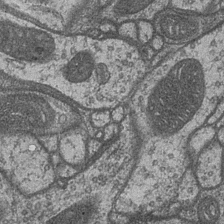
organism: Drosophila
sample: Optic medulla